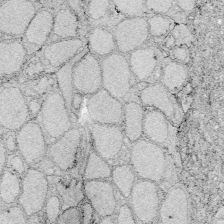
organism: Zebrafish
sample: Whole-Brain